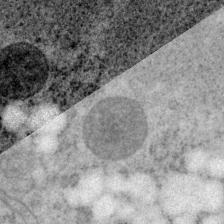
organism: P. pacificus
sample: Pharynx